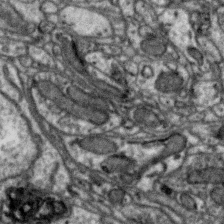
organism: Zebra finch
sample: Brain